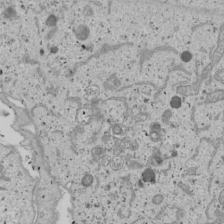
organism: Human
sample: Mitochondria in U2OS cells